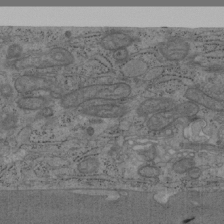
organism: Human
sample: HeLa cells